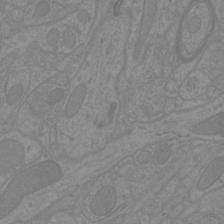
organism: Mouse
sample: Cortical neurons